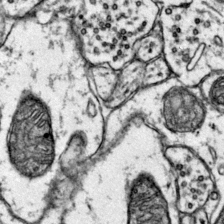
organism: Mouse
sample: Primary visual cortex